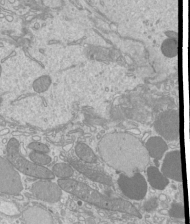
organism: Mouse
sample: Cilia; mouse epididymis